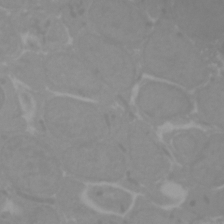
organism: Zebrafish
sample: Zebrafish embryo